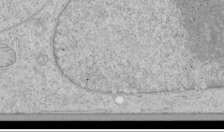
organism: Human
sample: Mitochondria in HCT116 cells